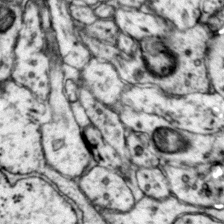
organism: Mouse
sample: Primary visual cortex